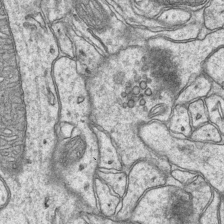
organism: Mouse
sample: CA1 Hippocampus